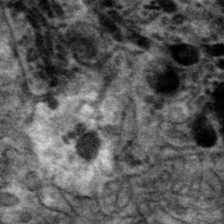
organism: Mouse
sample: Mouse hepatocytes